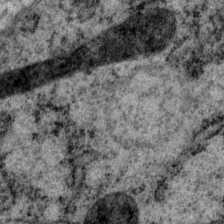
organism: P. pacificus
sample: Pharynx